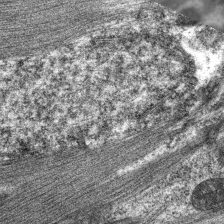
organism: C. elegans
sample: Pharynx